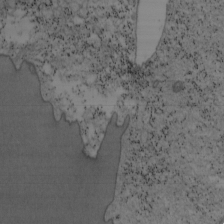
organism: Mouse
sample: OT-I killer T cells with ID8 ovarian cancer cells